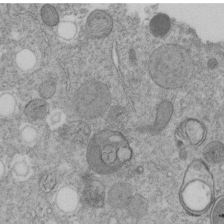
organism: C. elegans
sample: C. elegans embryo early stage